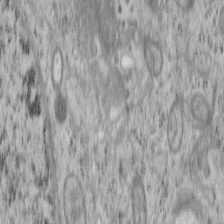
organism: Human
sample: HeLa cells